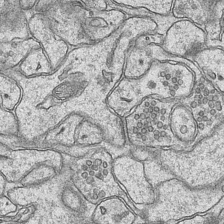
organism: Mouse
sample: CA1 Hippocampus